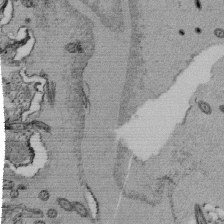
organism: Tetrahymena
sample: Cilia in tetrahymena